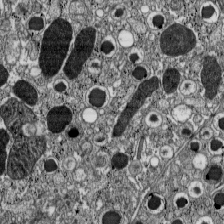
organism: C57BL Mouse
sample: Pancreatic islet